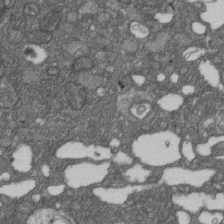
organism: Drosophila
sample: Nephrocyte